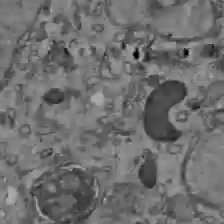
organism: C57BL Mouse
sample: Liver